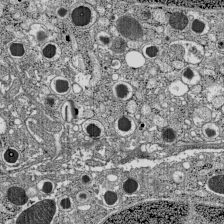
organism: C57BL Mouse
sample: Pancreatic islet